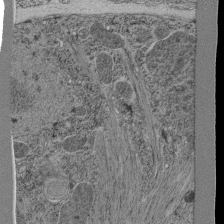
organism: C. elegans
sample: C. elegans pharynx